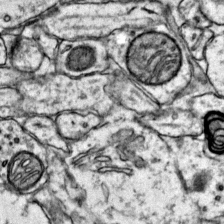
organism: Mouse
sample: Primary visual cortex